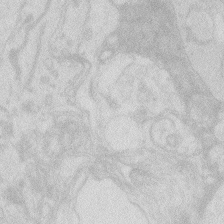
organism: Zebrafish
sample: Macrophage